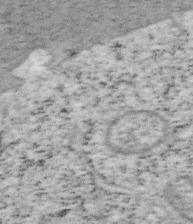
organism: Mouse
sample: OT-I killer T cells with ID8 ovarian cancer cells